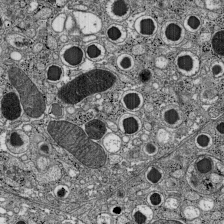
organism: C57BL Mouse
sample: Pancreatic islet